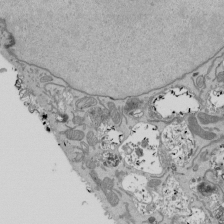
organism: Mouse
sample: ED-1 cell nuclei; centrioles